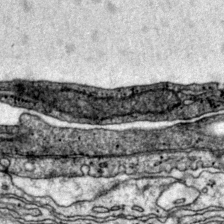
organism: Mouse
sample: Primary visual cortex